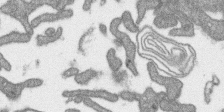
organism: Human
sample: Lung epithelial cells infected with SARS-CoV-2